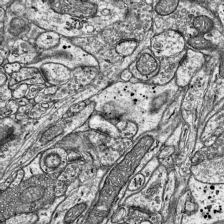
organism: Mouse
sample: Visual Cortex